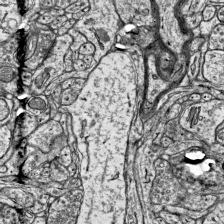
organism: Mouse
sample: Visual Cortex